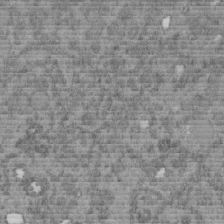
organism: C. elegans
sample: C. elegans embryo early stage